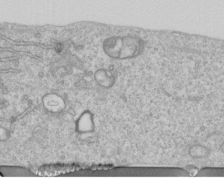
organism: Human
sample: Centriole in RPE cells